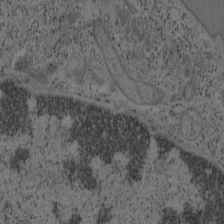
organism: Mouse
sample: OT-I killer T cells with ID8 ovarian cancer cells